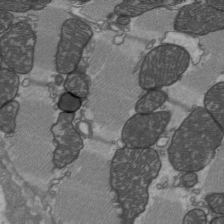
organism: C57BL Mouse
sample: Heart